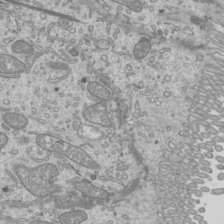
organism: Mouse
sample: Cilia; mouse epididymis